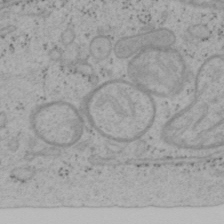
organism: Human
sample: HeLa cells